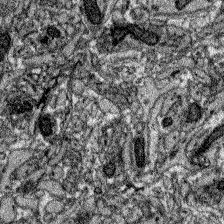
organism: Zebrafish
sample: Larval olfactory bulb